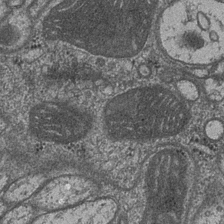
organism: Drosophila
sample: Optic medulla